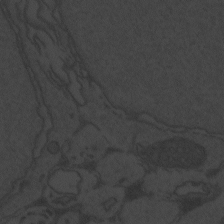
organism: Zebrafish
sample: Macrophage infected with Toxoplasma gondii